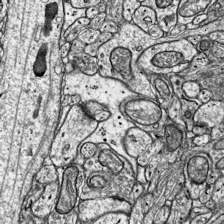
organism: Mouse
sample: Visual Cortex